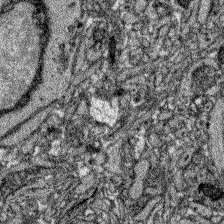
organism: Zebrafish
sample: Larval olfactory bulb